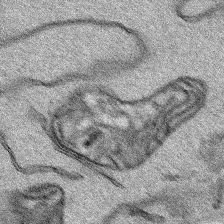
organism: Human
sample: Mitochondria in HCT116 cells